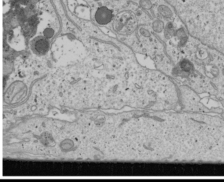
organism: Human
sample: Mitochondria in U2OS cells